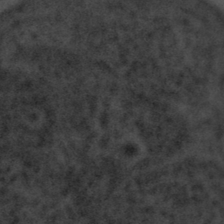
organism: Tuwongella immobilis